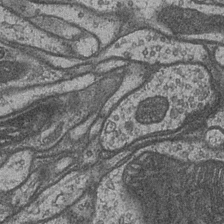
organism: Drosophila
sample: Optic medulla